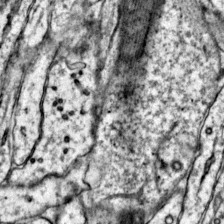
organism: Mouse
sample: Primary visual cortex